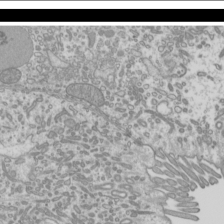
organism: Mouse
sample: Cilia; mouse epididymis